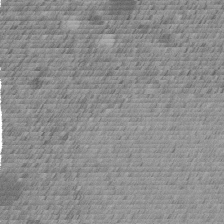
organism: C. elegans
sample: C. elegans embryo early stage